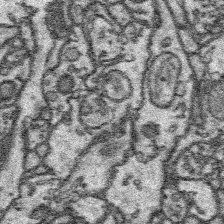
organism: Platynereis dumerilii